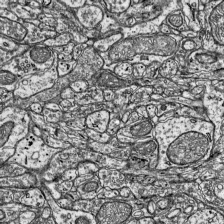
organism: Mouse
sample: Visual Cortex